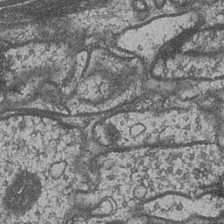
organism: Drosophila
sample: Optic medulla